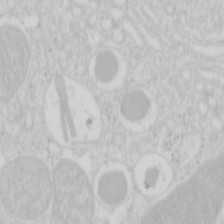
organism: Mouse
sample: Pancreas